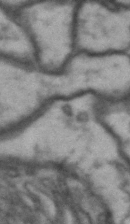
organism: Drosophila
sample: Brain